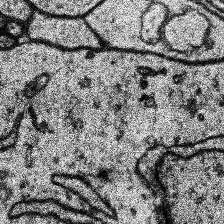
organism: Human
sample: Temporal Lobe